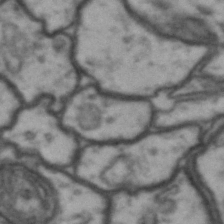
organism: Drosophila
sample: Brain